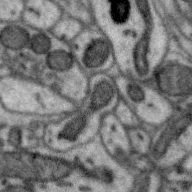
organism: Zebra finch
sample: Brain